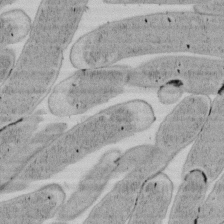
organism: E. coli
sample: Bacterial nucleoid